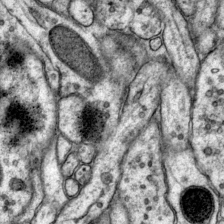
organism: Mouse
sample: Primary visual cortex